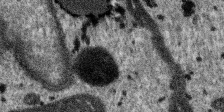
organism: Human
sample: Lung epithelial cells infected with SARS-CoV-2